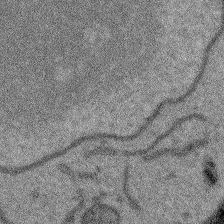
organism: Arabidopsis thaliana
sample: Root tip